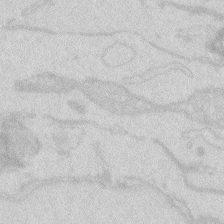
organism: Zebrafish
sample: Macrophage